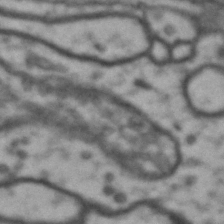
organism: Drosophila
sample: Brain